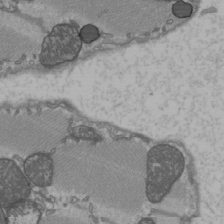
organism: C57BL Mouse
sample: Heart